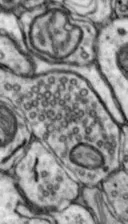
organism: Mouse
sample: Nucleus accumbens